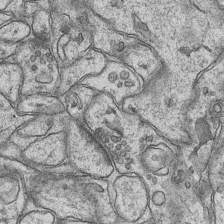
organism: Mouse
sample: CA1 Hippocampus